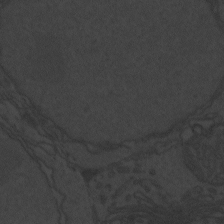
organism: Zebrafish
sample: Macrophage infected with Toxoplasma gondii